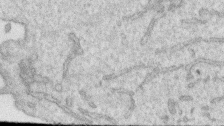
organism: Human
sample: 1205lu cells